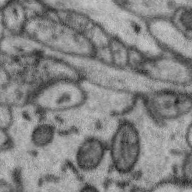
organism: Zebra finch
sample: Brain